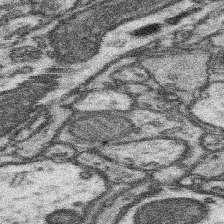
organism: Mouse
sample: Somatosensory cortex neuropil